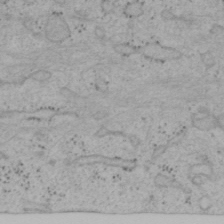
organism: Human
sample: HeLa cells